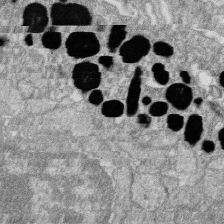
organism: Zebrafish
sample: Cilia; retinal pigment epithelium